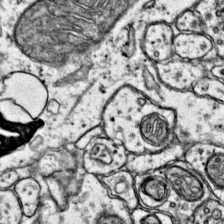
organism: Mouse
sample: Primary visual cortex